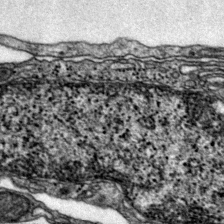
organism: Mouse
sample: Primary visual cortex